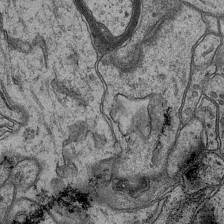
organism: Mouse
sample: CA1 Hippocampus